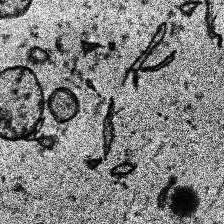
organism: Human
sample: Temporal Lobe